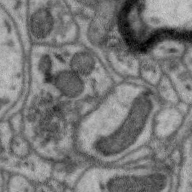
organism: Zebra finch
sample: Brain